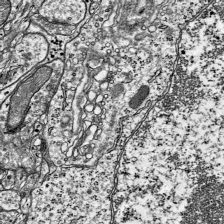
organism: Mouse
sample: Visual Cortex